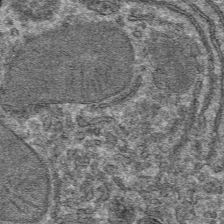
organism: Mouse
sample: Mouse hepatocytes